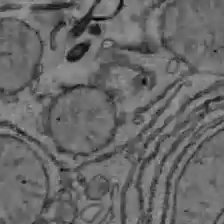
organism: C57BL Mouse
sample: Liver